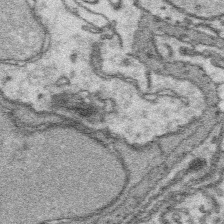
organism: Platynereis dumerilii